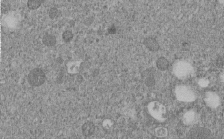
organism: C. elegans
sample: C. elegans embryo early stage